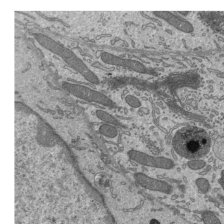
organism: Mouse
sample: Mouse epididymis efferent ductule cilia